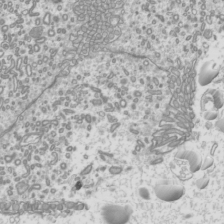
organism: Mouse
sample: Cilia; mouse epididymis